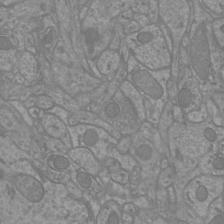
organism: Mouse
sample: Cortical neurons